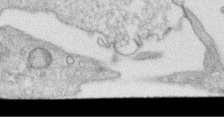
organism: Human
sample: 1205lu cells